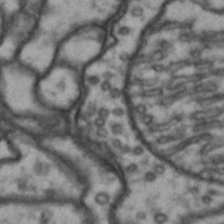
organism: Drosophila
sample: Brain